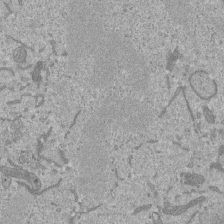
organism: Mouse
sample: ED-1 cell nuclei; centrioles